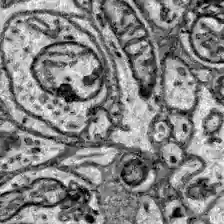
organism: Zebrafish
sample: Brain